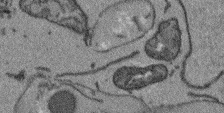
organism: Arabidopsis thaliana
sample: Root tip